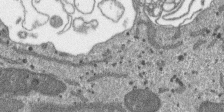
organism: Human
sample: Lung epithelial cells infected with SARS-CoV-2